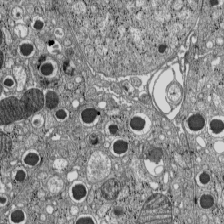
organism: C57BL Mouse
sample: Pancreatic islet